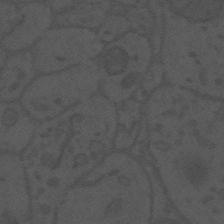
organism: Mouse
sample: Suprachiasmatic nucleus